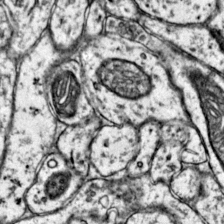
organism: Mouse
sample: Primary visual cortex